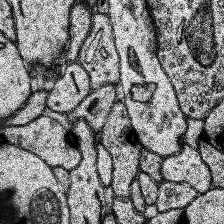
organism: Human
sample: Temporal Lobe